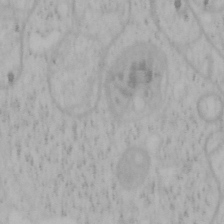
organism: Mouse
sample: OT-I killer T cells with ID8 ovarian cancer cells